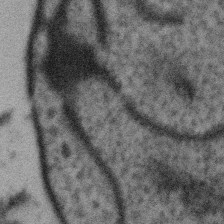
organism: Gemmata obscuriglobus